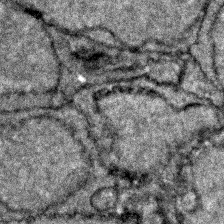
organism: Zebrafish